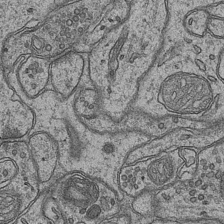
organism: Mouse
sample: CA1 Hippocampus